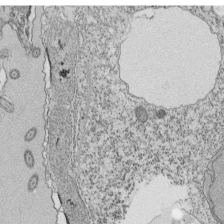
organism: Tetrahymena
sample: Cilia in tetrahymena